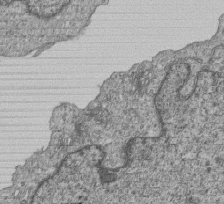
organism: Human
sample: MDA-MB-231 cells